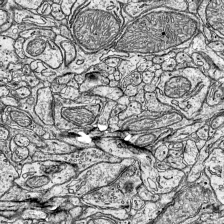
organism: Mouse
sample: Visual Cortex